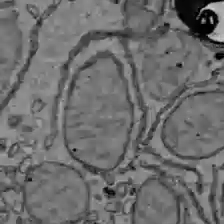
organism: C57BL Mouse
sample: Liver